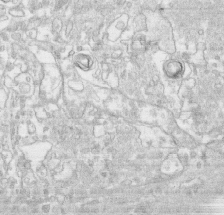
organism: Human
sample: CRL-1474